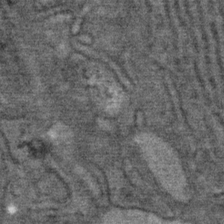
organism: Mouse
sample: Mouse Salivary gland